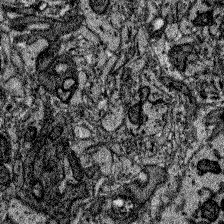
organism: Zebrafish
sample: Larval olfactory bulb